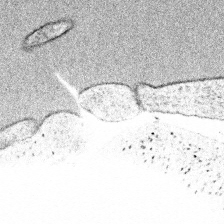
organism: Human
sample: HeLa cells